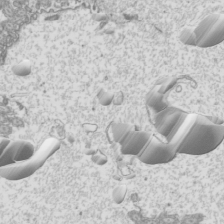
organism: Mouse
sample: Cilia; mouse epididymis